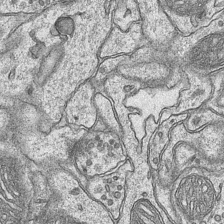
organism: Mouse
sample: CA1 Hippocampus